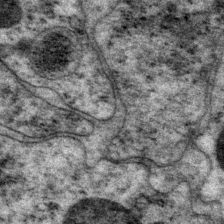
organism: P. pacificus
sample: Pharynx